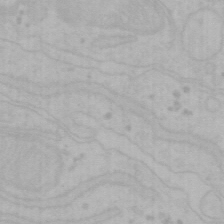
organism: Mouse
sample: Choroid plexus